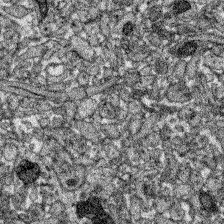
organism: Zebrafish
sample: Larval olfactory bulb